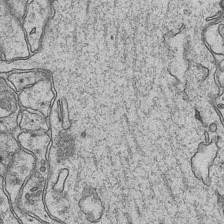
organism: Mouse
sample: CA1 Hippocampus